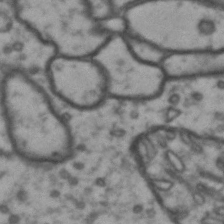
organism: Drosophila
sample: Brain